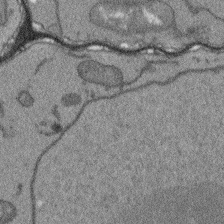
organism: Arabidopsis thaliana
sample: Root tip